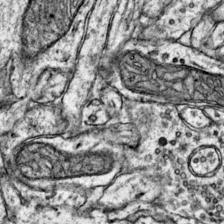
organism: Mouse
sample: Primary visual cortex